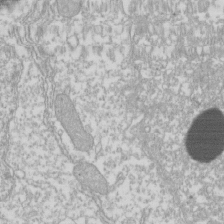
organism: Xenopus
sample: Cilia; centrioles in frog embryo cells